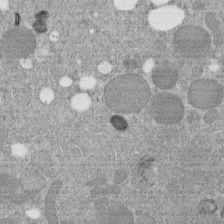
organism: C. elegans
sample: C. elegans embryo early stage